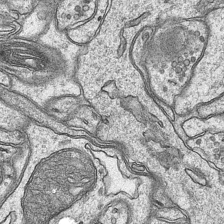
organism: Mouse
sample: CA1 Hippocampus